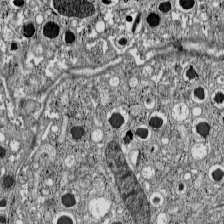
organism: C57BL Mouse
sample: Pancreatic islet